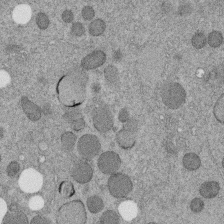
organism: C. elegans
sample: C. elegans embryo early stage